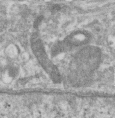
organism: Human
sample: Centriole in RPE cells